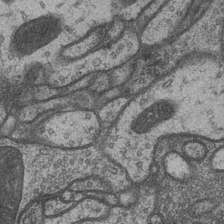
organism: Drosophila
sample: Optic medulla